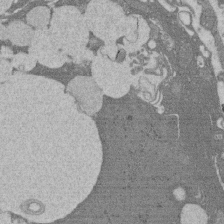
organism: Rat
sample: Salivary granule